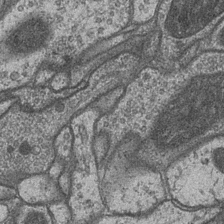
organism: Drosophila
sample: Optic medulla